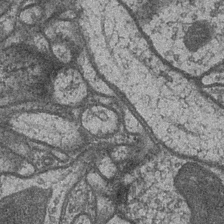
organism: Drosophila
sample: Optic medulla